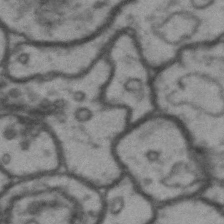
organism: Drosophila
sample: Brain